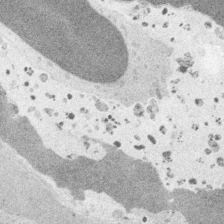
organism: Embia sp.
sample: Silk gland